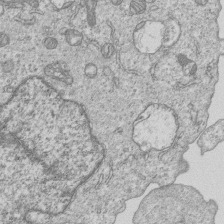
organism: Human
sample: MDA-MB-231 cells